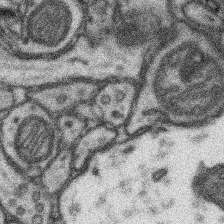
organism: Mouse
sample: Somatosensory cortex neuropil